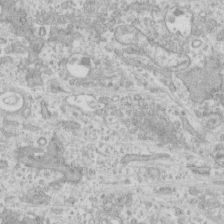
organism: Human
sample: CRL-1474